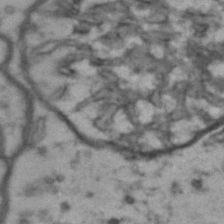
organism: Drosophila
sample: Brain